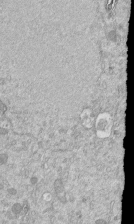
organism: Mouse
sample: ED-1 cell nuclei; centrioles